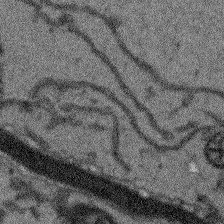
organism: Arabidopsis thaliana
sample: Root tip